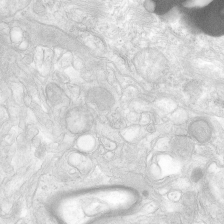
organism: Human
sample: Neocortex